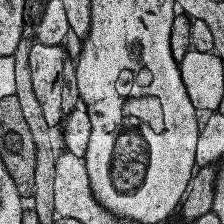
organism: Human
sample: Temporal Lobe